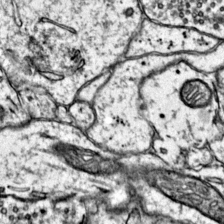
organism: Mouse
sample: Primary visual cortex